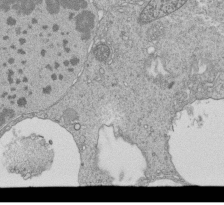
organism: Tetrahymena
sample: Cilia in tetrahymena